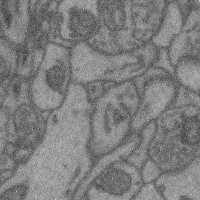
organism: Mouse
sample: Cerebral cortex